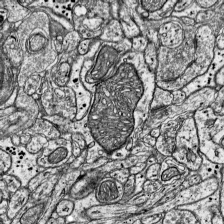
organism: Mouse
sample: Visual Cortex